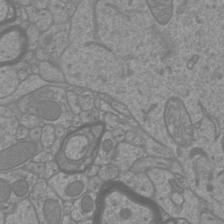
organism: Mouse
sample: Cortical neurons